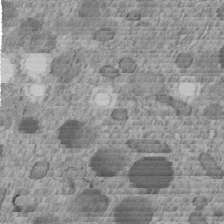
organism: C. elegans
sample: C. elegans embryo early stage